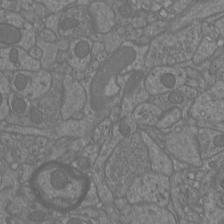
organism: Mouse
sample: Cortical neurons